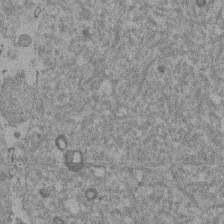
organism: Mouse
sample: Dividing mouse embryo 1 cell stage